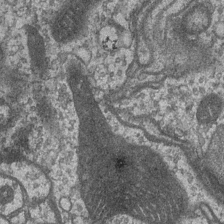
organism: Drosophila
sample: Optic medulla